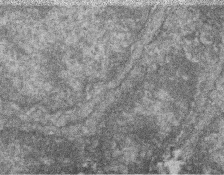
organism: Zebrafish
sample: Cilia; retinal pigment epithelium